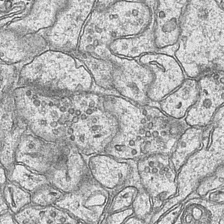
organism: Mouse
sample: CA1 Hippocampus